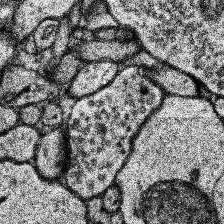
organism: Human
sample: Temporal Lobe